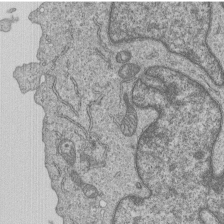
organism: Human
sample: MDA-MB-231 cells